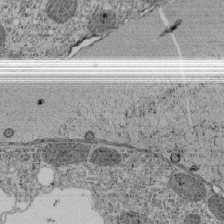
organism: Tetrahymena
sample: Cilia in tetrahymena